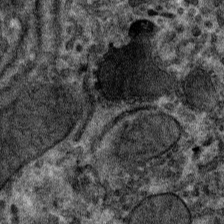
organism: Mouse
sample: Mouse hepatocytes